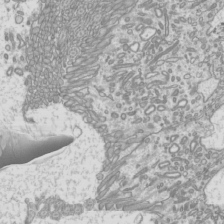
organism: Mouse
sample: Cilia; mouse epididymis